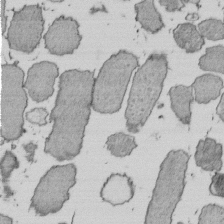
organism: E. coli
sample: Bacterial nucleoid